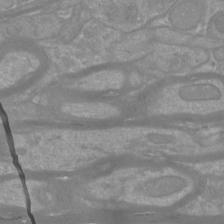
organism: Mouse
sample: Cortical neurons